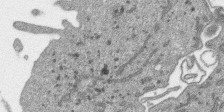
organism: Human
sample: Lung epithelial cells infected with SARS-CoV-2